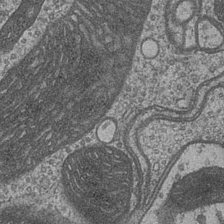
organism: Drosophila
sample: Optic medulla